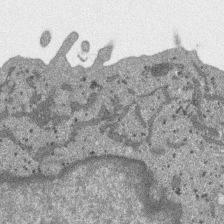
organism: Human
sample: Lung epithelial cells infected with SARS-CoV-2